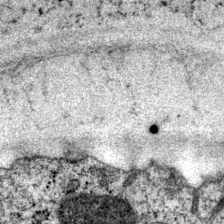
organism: P. pacificus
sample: Pharynx